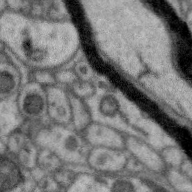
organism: Zebra finch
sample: Brain